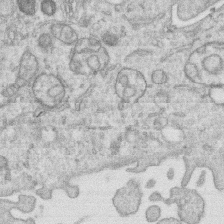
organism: Human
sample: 1205lu cells